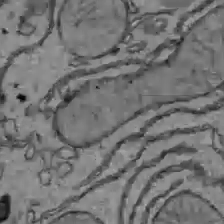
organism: C57BL Mouse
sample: Liver